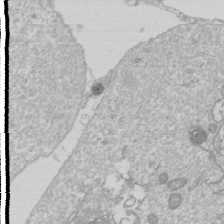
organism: Drosophila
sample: Cell division; meiosis; drosophila spermatocytes